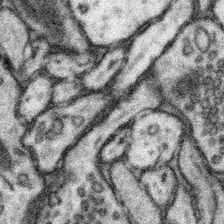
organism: Mouse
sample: Somatosensory cortex neuropil